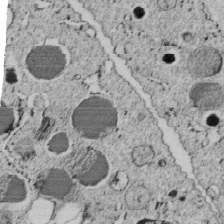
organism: C. elegans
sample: C. elegans embryo early stage